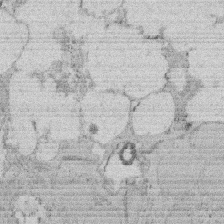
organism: Rat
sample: Salivary granule